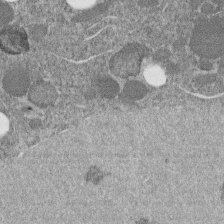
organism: C. elegans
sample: C. elegans embryo early stage